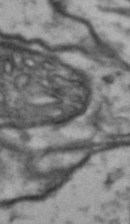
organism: Drosophila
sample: Brain